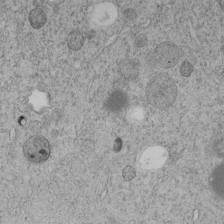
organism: C. elegans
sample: C. elegans embryo early stage